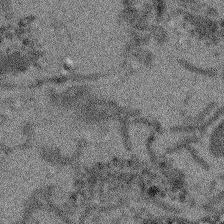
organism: Arabidopsis thaliana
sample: Root tip